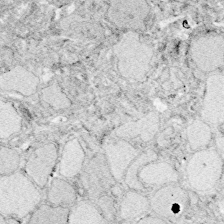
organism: Zebrafish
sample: Whole-Brain